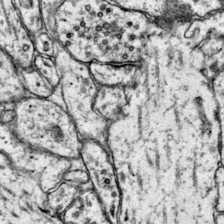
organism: Mouse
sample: Primary visual cortex